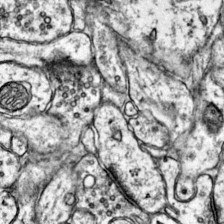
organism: Mouse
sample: Primary visual cortex